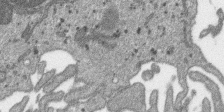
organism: Human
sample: Lung epithelial cells infected with SARS-CoV-2